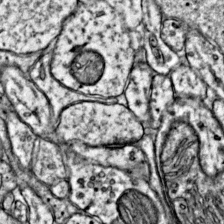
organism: Mouse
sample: Primary visual cortex